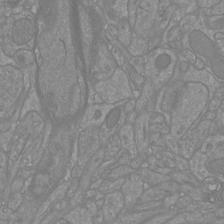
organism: Mouse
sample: Cortical neurons